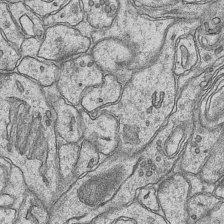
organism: Mouse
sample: CA1 Hippocampus